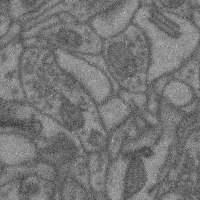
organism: Mouse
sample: Cerebral cortex